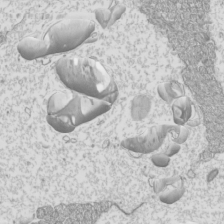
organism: Mouse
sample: Cilia; mouse epididymis